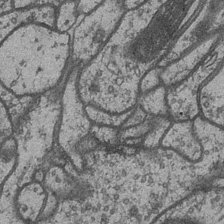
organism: Drosophila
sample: Optic medulla